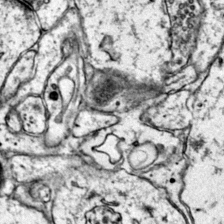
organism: Mouse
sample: Primary visual cortex